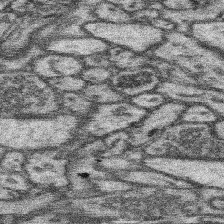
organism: Mouse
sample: Somatosensory cortex neuropil